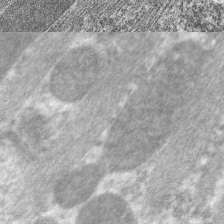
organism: C. elegans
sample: Pharynx